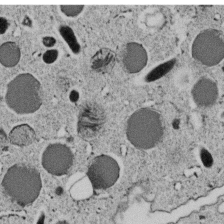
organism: C. elegans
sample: C. elegans embryo early stage